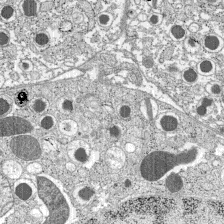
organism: C57BL Mouse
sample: Pancreatic islet